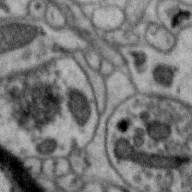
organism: Zebra finch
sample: Brain